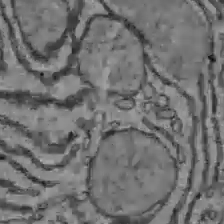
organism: C57BL Mouse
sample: Liver